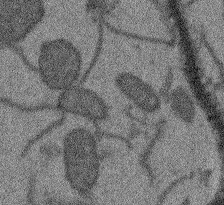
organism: Arabidopsis thaliana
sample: Root tip